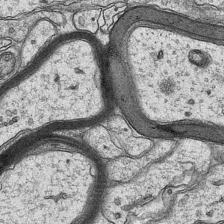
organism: Mouse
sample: CA1 Hippocampus